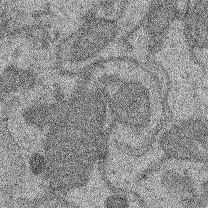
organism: Human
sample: HeLa cells